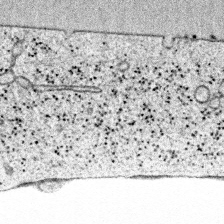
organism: Human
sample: HeLa cells